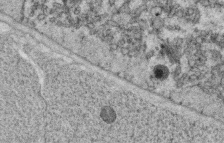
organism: C. elegans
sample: C. elegans oocyte; sperm cells